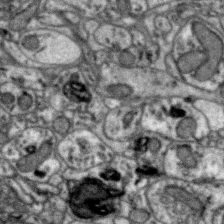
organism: Zebra finch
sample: Brain